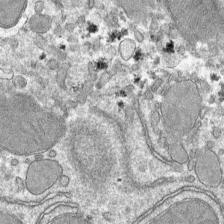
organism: Mouse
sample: Mouse hepatocytes